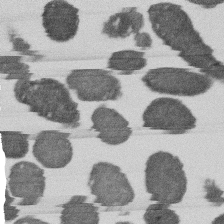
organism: E. coli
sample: Bacterial nucleoid